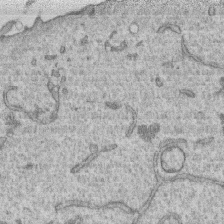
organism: Human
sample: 1205lu cells